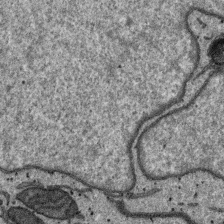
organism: Human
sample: Lung epithelial cells, uninfected (mock) control